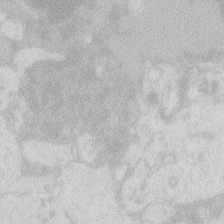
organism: Zebrafish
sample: Macrophage